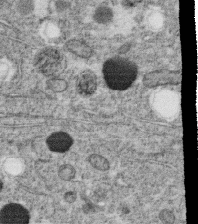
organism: C. elegans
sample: C. elegans oocyte; sperm cells